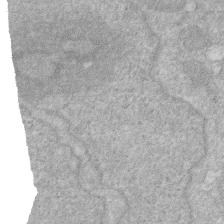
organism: Human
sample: HIV infected U937 cells